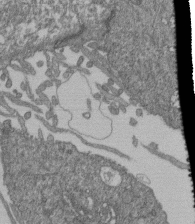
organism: Human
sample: Retinal organoid Rod and Cone cells